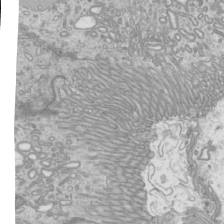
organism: Mouse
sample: Cilia; mouse epididymis